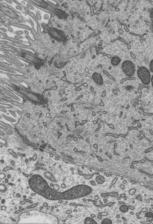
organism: Mouse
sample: Mouse epididymis efferent ductule cilia